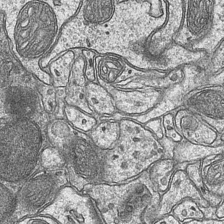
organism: Mouse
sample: CA1 Hippocampus